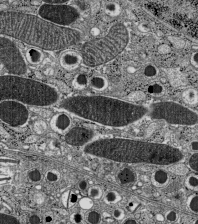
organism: C57BL Mouse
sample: Pancreatic islet